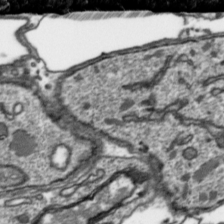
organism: Toxoplasma gondii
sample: Parasites in a vacuole inside a host cell